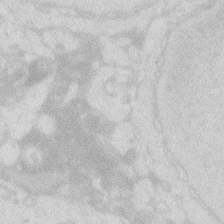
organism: Zebrafish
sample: Macrophage